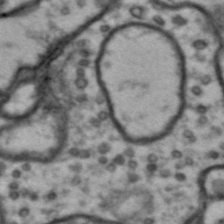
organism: Drosophila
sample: Brain